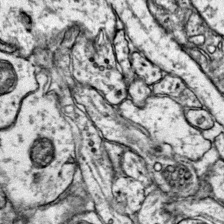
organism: Mouse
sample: Primary visual cortex